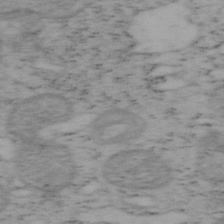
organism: Mouse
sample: OT-I killer T cells with ID8 ovarian cancer cells